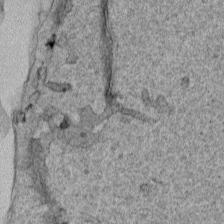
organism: Human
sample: Mitochondria in HCT116 cells